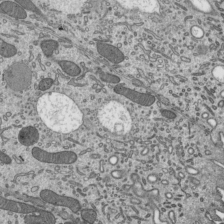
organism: Mouse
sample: Mouse epididymis efferent ductule cilia